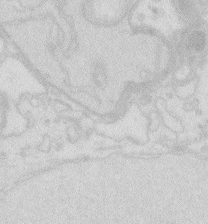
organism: Zebrafish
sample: Macrophage